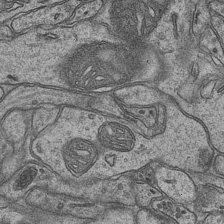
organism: Mouse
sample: CA1 Hippocampus